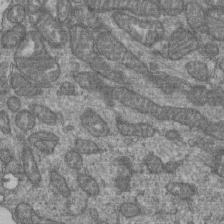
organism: Human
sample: Retinal organoid Rod and Cone cells